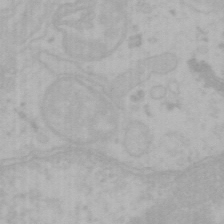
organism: Mouse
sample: Choroid plexus